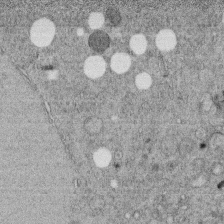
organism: C. elegans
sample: C. elegans embryo early stage